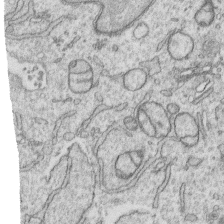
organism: Human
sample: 1205lu cells